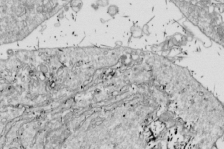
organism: Drosophila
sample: Cell division; meiosis; drosophila spermatocytes